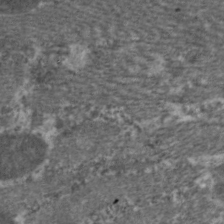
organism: C. elegans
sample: Pharynx